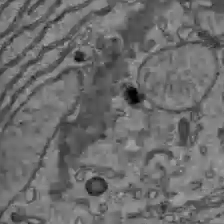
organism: C57BL Mouse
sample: Liver